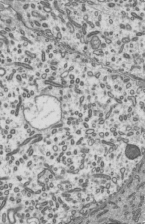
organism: Mouse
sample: Mouse epididymis efferent ductule cilia